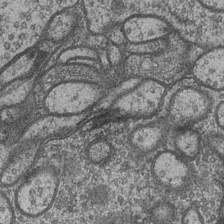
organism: Drosophila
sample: Optic medulla